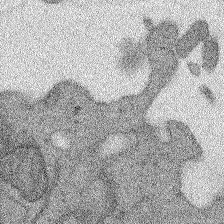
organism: Human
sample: HeLa cells